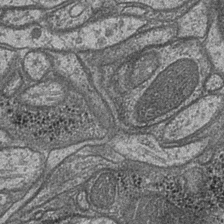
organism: Drosophila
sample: Optic medulla